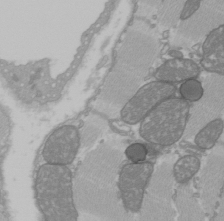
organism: C57BL Mouse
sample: Heart